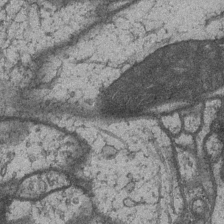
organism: Drosophila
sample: Optic medulla